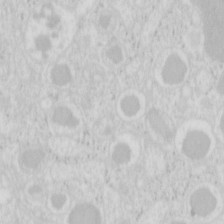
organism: Mouse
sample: Pancreas